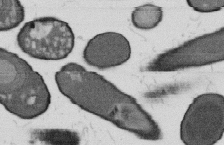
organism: B. subtilis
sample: Bacterial spore